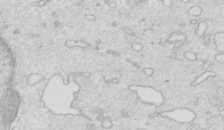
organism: Mouse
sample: Multiciliated cells